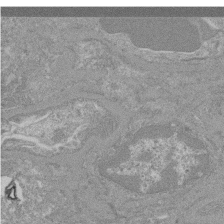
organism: Mouse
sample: Glomerulus